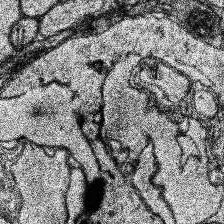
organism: Human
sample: Temporal Lobe